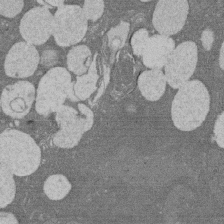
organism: Rat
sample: Salivary granule